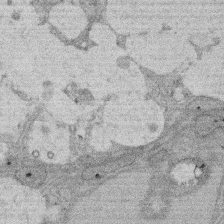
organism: Rat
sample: Salivary granule